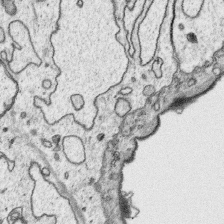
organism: Platynereis dumerilii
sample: Parapodia